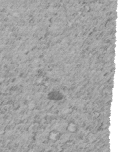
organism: C. elegans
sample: C. elegans embryo early stage